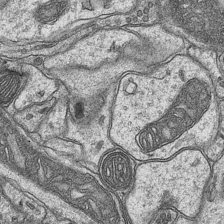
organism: Mouse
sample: CA1 Hippocampus